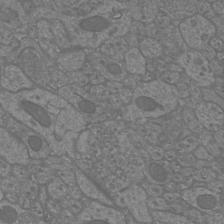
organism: Mouse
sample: Cortical neurons